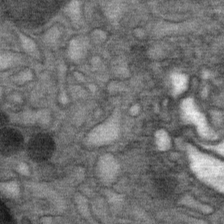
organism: Mouse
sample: Mouse Salivary gland